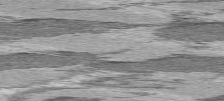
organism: C57BL Mouse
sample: Heart